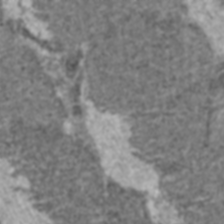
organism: C57BL Mouse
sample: Heart